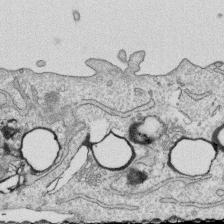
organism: Human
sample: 1205lu cells